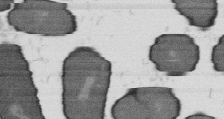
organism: B. subtilis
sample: Bacterial spore